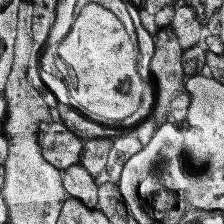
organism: Human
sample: Temporal Lobe